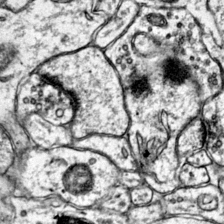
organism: Mouse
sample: Primary visual cortex